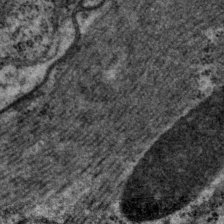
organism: P. pacificus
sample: Pharynx